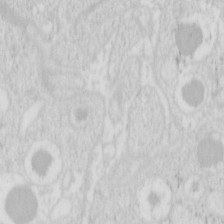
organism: Mouse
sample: Pancreas